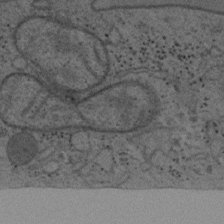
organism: Human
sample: HeLa cells